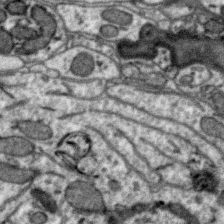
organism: Zebra finch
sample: Brain